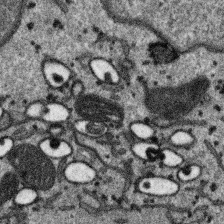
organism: Human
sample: Lung epithelial cells infected with SARS-CoV-2